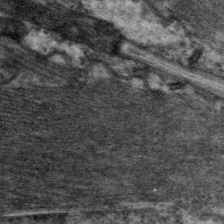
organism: C. elegans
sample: Pharynx